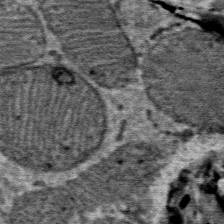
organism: Mouse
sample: Mouse Salivary gland